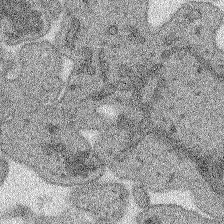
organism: Human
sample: HeLa cells